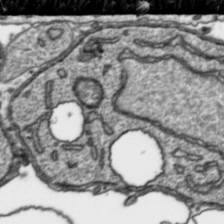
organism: Toxoplasma gondii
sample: Parasites in a vacuole inside a host cell